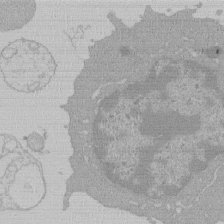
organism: Mouse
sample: Activated Pmel transgenic CD8+ T Cells